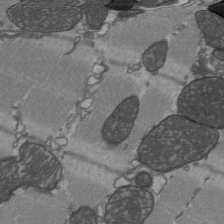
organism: C57BL Mouse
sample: Heart